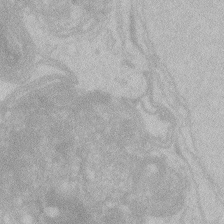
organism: Zebrafish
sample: Macrophage infected with Toxoplasma gondii